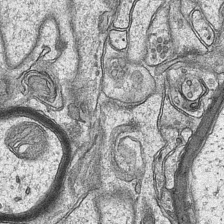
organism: Mouse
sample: CA1 Hippocampus